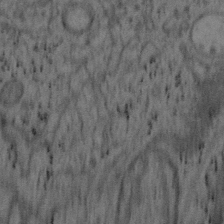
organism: Human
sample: HeLa cells